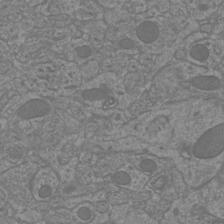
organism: Mouse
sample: Cortical neurons